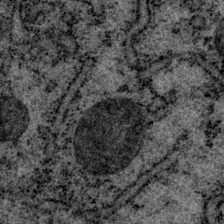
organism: P. pacificus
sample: Pharynx